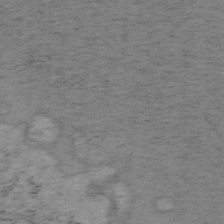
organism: Mouse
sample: OT-I killer T cells with ID8 ovarian cancer cells